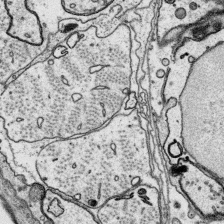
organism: Platynereis dumerilii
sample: Parapodia